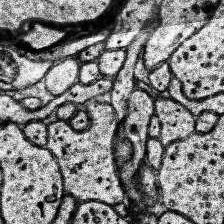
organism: Human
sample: Temporal Lobe